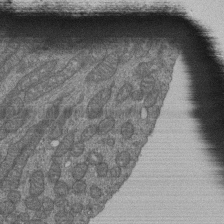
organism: Human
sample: Retinal organoid Rod and Cone cells